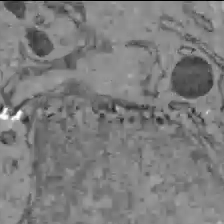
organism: C57BL Mouse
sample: Liver